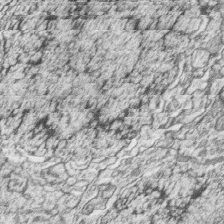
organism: Zebrafish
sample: synaptic ribbons in rod cells and cone cells